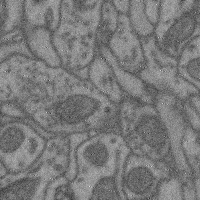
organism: Mouse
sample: Cerebral cortex